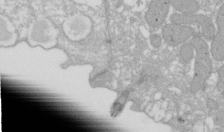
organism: Xenopus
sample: Cilia; centrioles in frog embryo cells